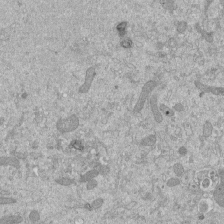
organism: Mouse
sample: ED-1 cell nuclei; centrioles